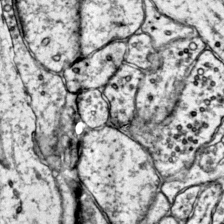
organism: Mouse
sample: Primary visual cortex